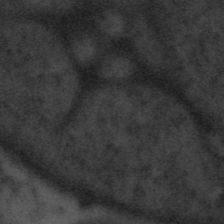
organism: Tuwongella immobilis